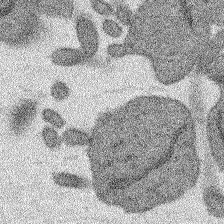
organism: Human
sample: HeLa cells